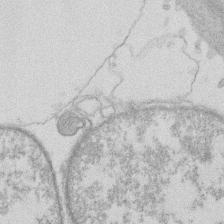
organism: Human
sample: Macrophage cells